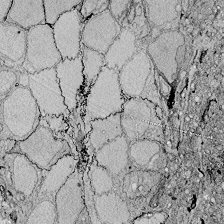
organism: Zebrafish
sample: Whole-Brain